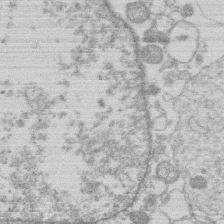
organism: Human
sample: Macrophage cells